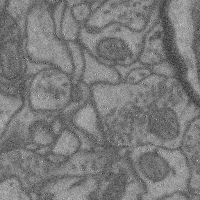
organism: Mouse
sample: Cerebral cortex